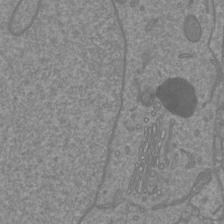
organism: Mouse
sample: Cortical neurons